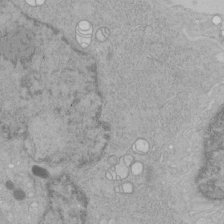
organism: Human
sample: Mitochondria in HCT116 cells